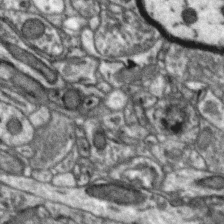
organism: Zebra finch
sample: Brain